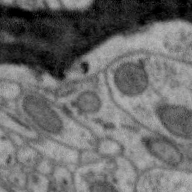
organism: Zebra finch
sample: Brain